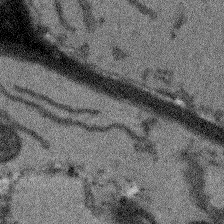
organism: Arabidopsis thaliana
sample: Root tip